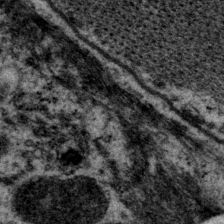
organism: P. pacificus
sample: Pharynx